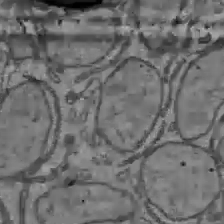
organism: C57BL Mouse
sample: Liver